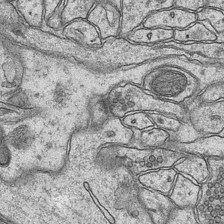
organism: Mouse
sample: CA1 Hippocampus